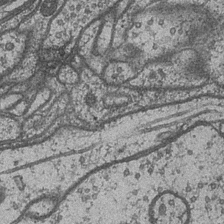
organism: Drosophila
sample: Optic medulla